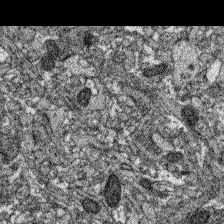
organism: Zebrafish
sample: Larval olfactory bulb